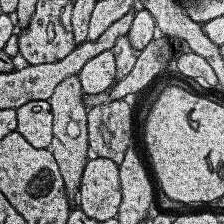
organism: Human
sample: Temporal Lobe